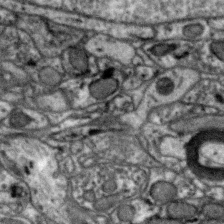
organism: Zebra finch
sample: Brain